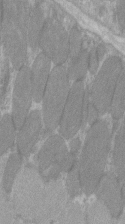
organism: C57BL Mouse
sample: Tibialis anterior muscle cell